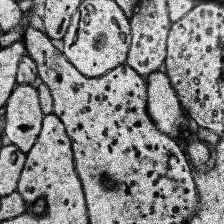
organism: Human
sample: Temporal Lobe